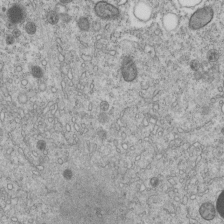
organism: C. elegans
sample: C. elegans embryo early stage